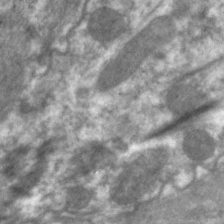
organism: C. elegans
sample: Pharynx